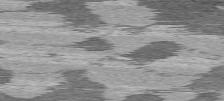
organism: C57BL Mouse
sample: Heart